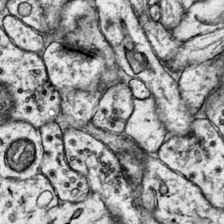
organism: Mouse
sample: Primary visual cortex